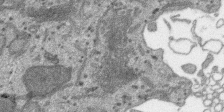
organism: Human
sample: Lung epithelial cells infected with SARS-CoV-2